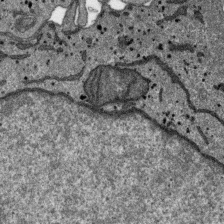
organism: Human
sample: Lung epithelial cells, uninfected (mock) control